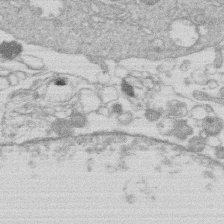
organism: Human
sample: Macrophage cells